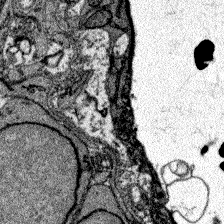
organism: Zebrafish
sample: Larval olfactory bulb